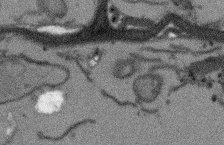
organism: Arabidopsis thaliana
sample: Root tip